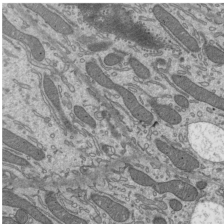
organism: Mouse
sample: Mouse epididymis efferent ductule cilia